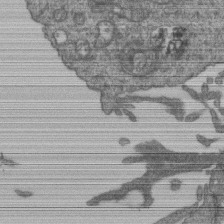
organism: Human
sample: Retinal organoid Rod and Cone cells